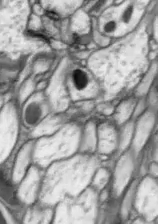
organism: Drosophila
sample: Optic lobe